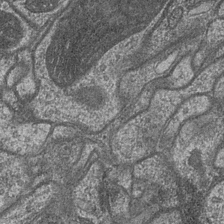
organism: Drosophila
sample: Optic medulla